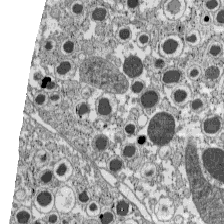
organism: C57BL Mouse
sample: Pancreatic islet